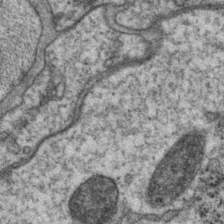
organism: P. pacificus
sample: Pharynx